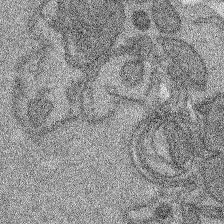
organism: Human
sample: HeLa cells